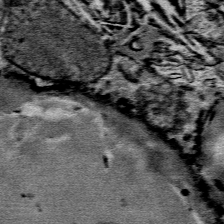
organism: Mouse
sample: Mouse Salivary gland